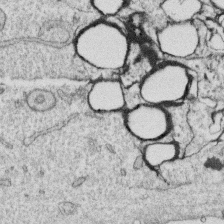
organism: Human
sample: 1205lu cells